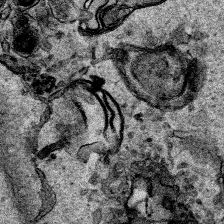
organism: Human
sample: Mitochondria in HCT116 cells